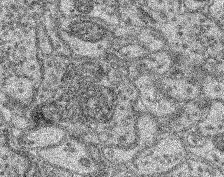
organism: Mouse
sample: Retina